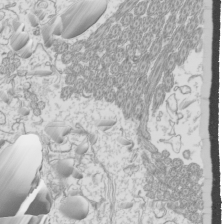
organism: Mouse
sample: Cilia; mouse epididymis